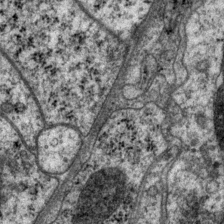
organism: P. pacificus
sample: Pharynx